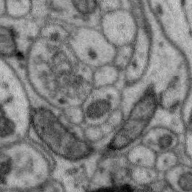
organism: Zebra finch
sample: Brain